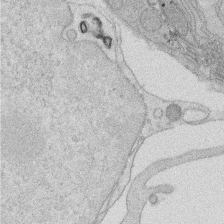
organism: Rat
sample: Salivary granule